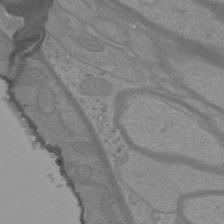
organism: Mouse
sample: Cortical neurons